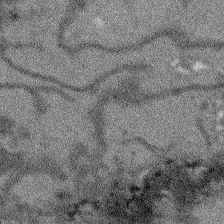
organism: Arabidopsis thaliana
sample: Root tip